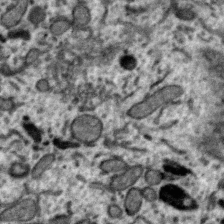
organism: Zebra finch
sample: Brain